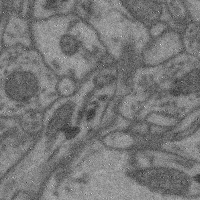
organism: Mouse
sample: Cerebral cortex